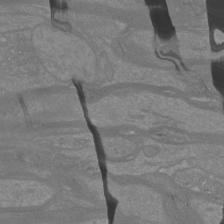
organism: Mouse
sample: Cortical neurons